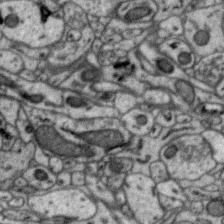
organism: Zebra finch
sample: Brain